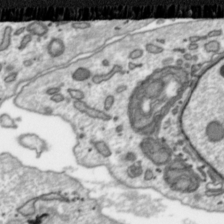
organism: Toxoplasma gondii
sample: Parasites in a vacuole inside a host cell